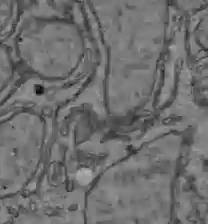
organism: C57BL Mouse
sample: Liver